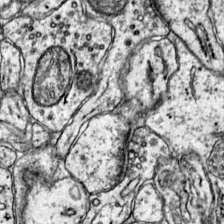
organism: Mouse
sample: Primary visual cortex